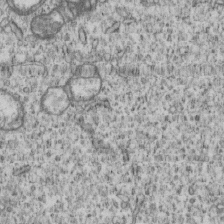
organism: Human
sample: MDA-MB-231 cells